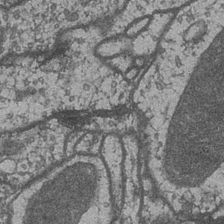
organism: Drosophila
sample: Optic medulla